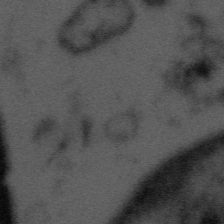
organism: Tuwongella immobilis